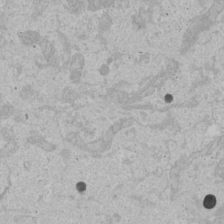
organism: Human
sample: Mitochondria in U2OS cells